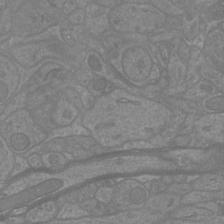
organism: Mouse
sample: Cortical neurons